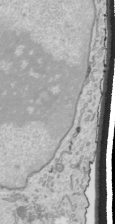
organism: Human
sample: Mitochondria in HCT116 cells